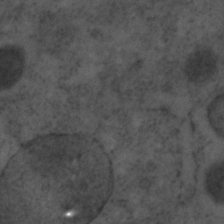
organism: C. elegans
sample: C. elegans embryo